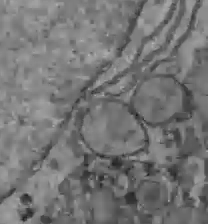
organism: C57BL Mouse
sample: Liver